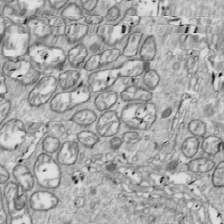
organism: Drosophila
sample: Cell division; meiosis; drosophila spermatocytes